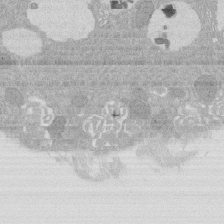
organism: Rat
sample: Salivary granule